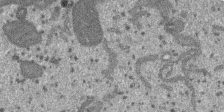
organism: Human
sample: Lung epithelial cells infected with SARS-CoV-2